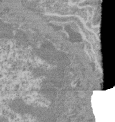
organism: Mouse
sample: Glomerulus